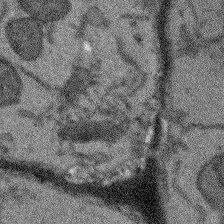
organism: Arabidopsis thaliana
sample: Root tip